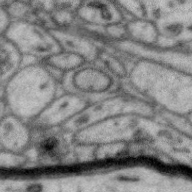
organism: Zebra finch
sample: Brain